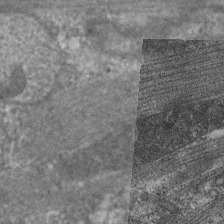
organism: C. elegans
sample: Pharynx